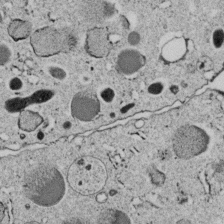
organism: C. elegans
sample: C. elegans embryo early stage